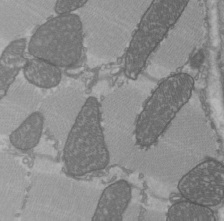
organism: C57BL Mouse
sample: Heart